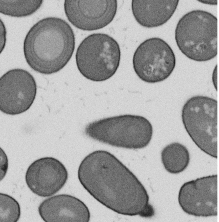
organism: B. subtilis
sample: Bacterial spore